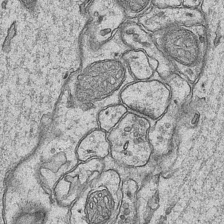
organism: Mouse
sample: CA1 Hippocampus